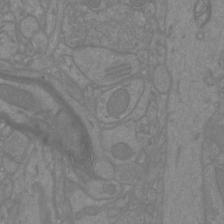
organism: Mouse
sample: Cortical neurons